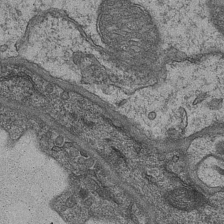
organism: Mouse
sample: CA1 Hippocampus